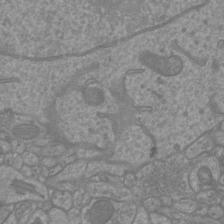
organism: Mouse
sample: Cortical neurons